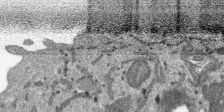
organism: Human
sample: Lung epithelial cells infected with SARS-CoV-2